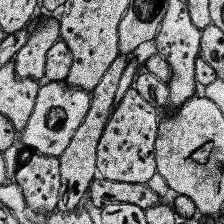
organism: Human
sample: Temporal Lobe